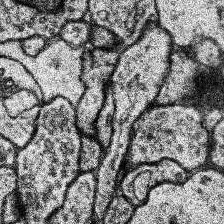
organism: Human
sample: Temporal Lobe